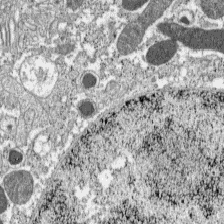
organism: C57BL Mouse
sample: Pancreatic islet